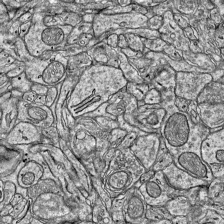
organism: Mouse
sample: Visual Cortex